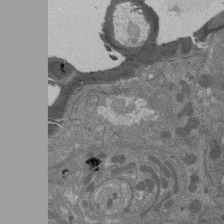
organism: Drosophila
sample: Antenna